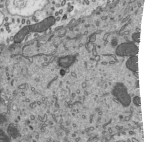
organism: Mouse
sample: Mouse epididymis efferent ductule cilia